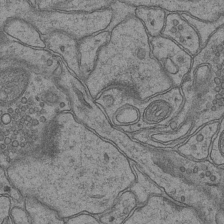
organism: Mouse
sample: CA1 Hippocampus